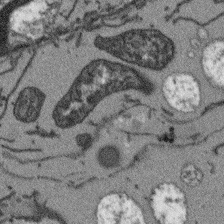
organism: Arabidopsis thaliana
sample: Root tip